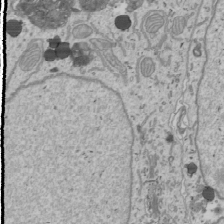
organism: Human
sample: Mitochondria in U2OS cells